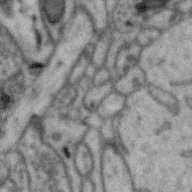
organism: Zebra finch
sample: Brain